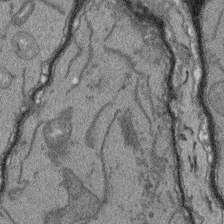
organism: Arabidopsis thaliana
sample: Root tip